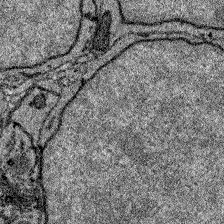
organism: Zebrafish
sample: Larval olfactory bulb